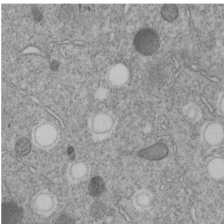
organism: C. elegans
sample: C. elegans embryo early stage